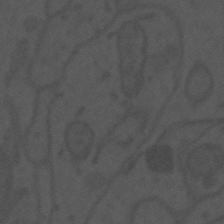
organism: Mouse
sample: Suprachiasmatic nucleus